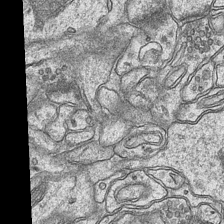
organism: Mouse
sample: CA1 Hippocampus